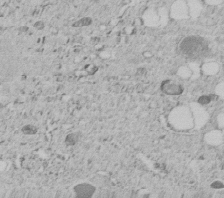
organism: C. elegans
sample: C. elegans embryo early stage